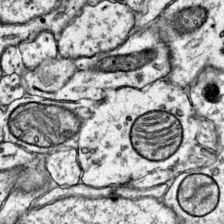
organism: Mouse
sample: Primary visual cortex